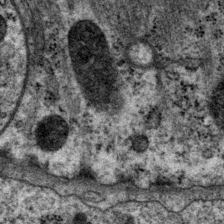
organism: P. pacificus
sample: Pharynx